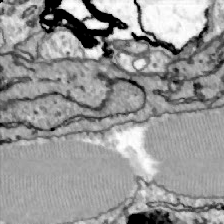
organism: Zebrafish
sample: Actinotrichia fibers